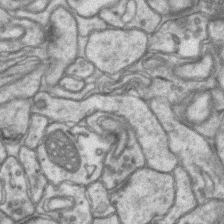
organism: Mouse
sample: CA1 Hippocampus